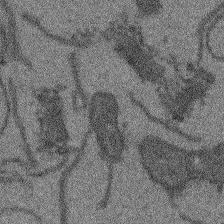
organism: Arabidopsis thaliana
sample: Root tip